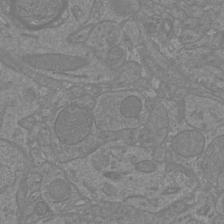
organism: Mouse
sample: Cortical neurons